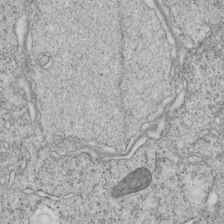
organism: C. elegans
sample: C. elegans embryo early stage